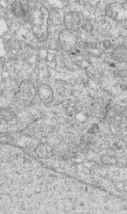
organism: Human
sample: HeLa cell HIV synapse